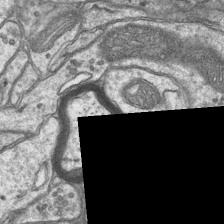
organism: Mouse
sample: CA1 Hippocampus